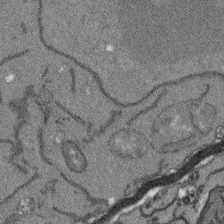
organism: Arabidopsis thaliana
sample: Root tip